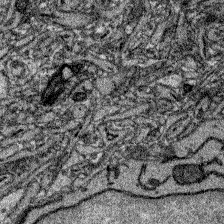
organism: Zebrafish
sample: Larval olfactory bulb